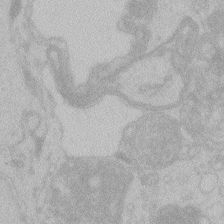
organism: Zebrafish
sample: Macrophage infected with Toxoplasma gondii